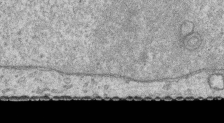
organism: Human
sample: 1205lu cells